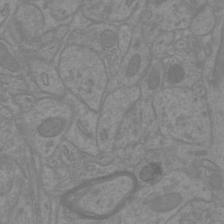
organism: Mouse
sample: Cortical neurons